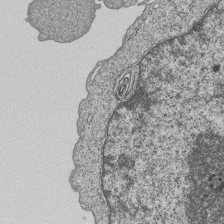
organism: Human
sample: MDA-MB-231 cells